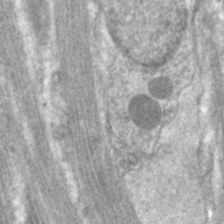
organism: C. elegans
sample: Pharynx